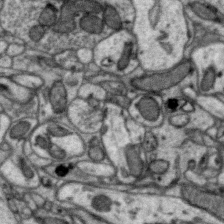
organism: Zebra finch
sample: Brain